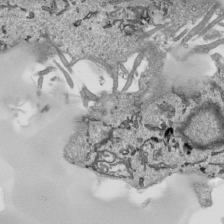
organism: Human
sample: Mitochondria in HCT116 cells